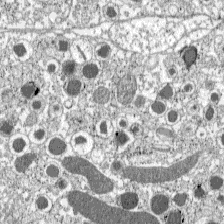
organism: C57BL Mouse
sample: Pancreatic islet